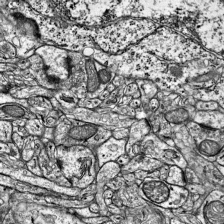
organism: Mouse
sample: Visual Cortex